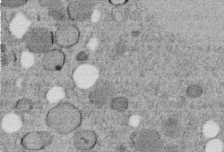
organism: C. elegans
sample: C. elegans embryo early stage